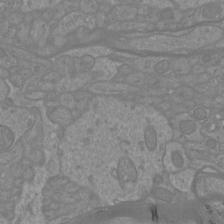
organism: Mouse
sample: Cortical neurons